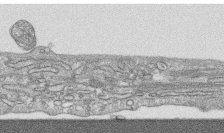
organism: Human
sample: CRL-1474